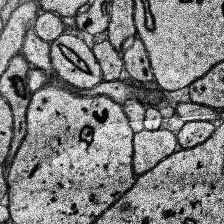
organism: Human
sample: Temporal Lobe